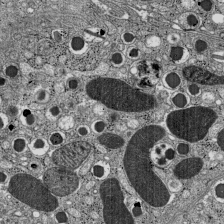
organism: C57BL Mouse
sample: Pancreatic islet